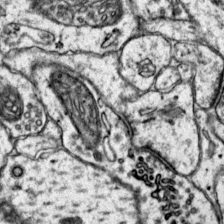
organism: Mouse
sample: Primary visual cortex